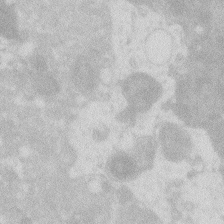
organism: Zebrafish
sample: Macrophage